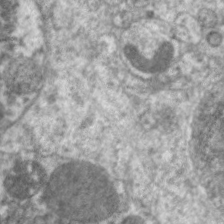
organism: C. elegans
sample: Pharynx